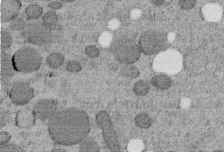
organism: C. elegans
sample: C. elegans embryo early stage